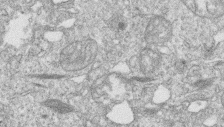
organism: Human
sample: HeLa cell HIV synapse